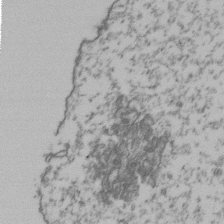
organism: Human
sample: Activated Jurkat CD4+ T cells